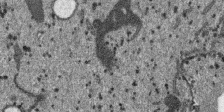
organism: Human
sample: Lung epithelial cells infected with SARS-CoV-2